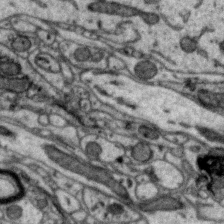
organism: Zebra finch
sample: Brain